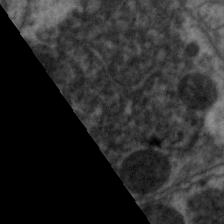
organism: C. elegans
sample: Pharynx